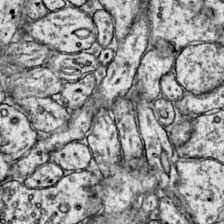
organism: Mouse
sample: Primary visual cortex